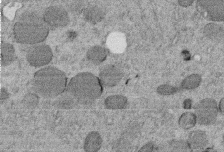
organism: C. elegans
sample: C. elegans embryo early stage